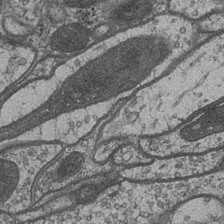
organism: Drosophila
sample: Optic medulla